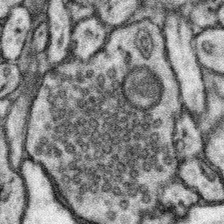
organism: Mouse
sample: Somatosensory cortex neuropil